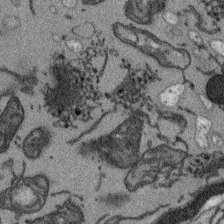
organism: Arabidopsis thaliana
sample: Root tip